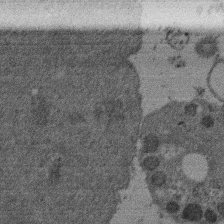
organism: Mouse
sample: Dividing mouse embryo 1 cell stage